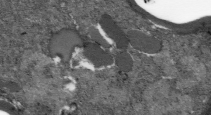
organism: Plasmodium falciparum